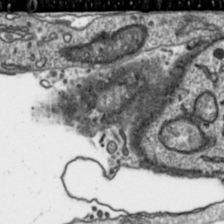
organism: Toxoplasma gondii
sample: Parasites in a vacuole inside a host cell